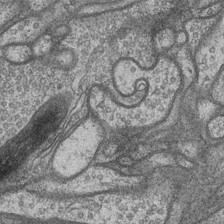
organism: Drosophila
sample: Optic medulla